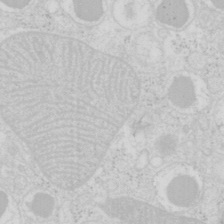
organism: Mouse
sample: Pancreas